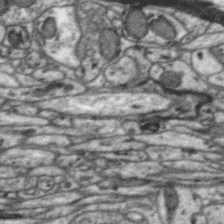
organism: Zebra finch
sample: Brain